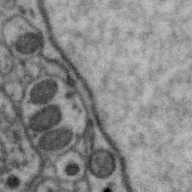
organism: Zebra finch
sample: Brain